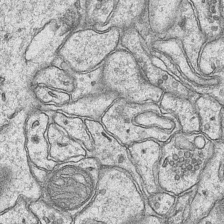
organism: Mouse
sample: CA1 Hippocampus